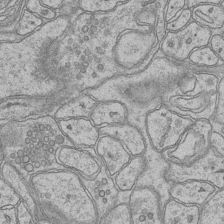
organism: Mouse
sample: CA1 Hippocampus